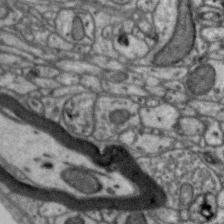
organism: Zebra finch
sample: Brain